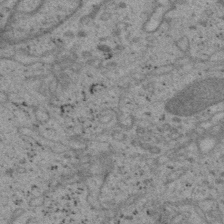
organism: Human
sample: HeLa cells